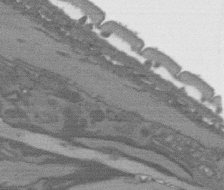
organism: C. elegans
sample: AFD neurons C. elegans